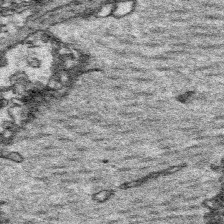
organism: Platynereis dumerilii